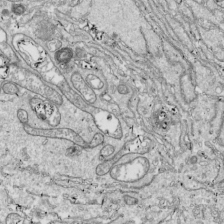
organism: Drosophila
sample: Cell division; meiosis; drosophila spermatocytes